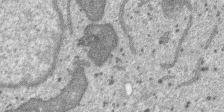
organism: Human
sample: Lung epithelial cells infected with SARS-CoV-2